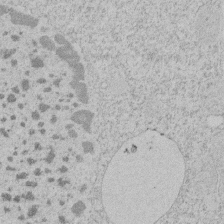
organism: Tetrahymena